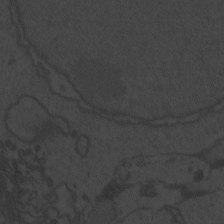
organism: Zebrafish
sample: Macrophage infected with Toxoplasma gondii